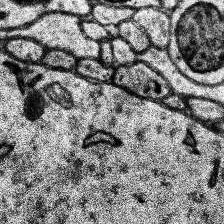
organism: Human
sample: Temporal Lobe